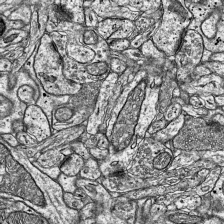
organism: Mouse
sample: Visual Cortex